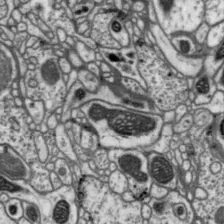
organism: Drosophila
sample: Protocerebral bridge